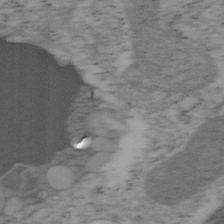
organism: Mouse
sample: OT-I killer T cells with ID8 ovarian cancer cells